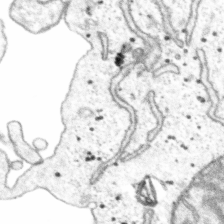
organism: Human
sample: HeLa cells